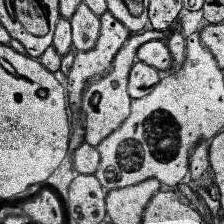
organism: Human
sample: Temporal Lobe